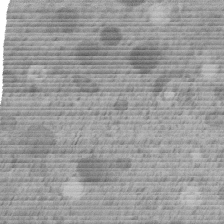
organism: C. elegans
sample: C. elegans embryo early stage